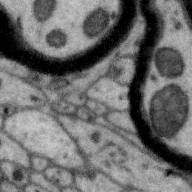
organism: Zebra finch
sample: Brain